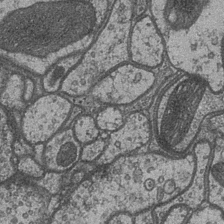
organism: Drosophila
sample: Optic medulla